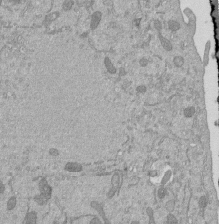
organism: Mouse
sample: ED-1 cell nuclei; centrioles